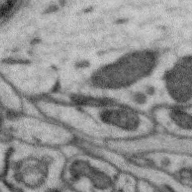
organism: Zebra finch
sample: Brain